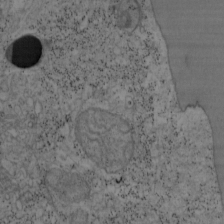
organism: Mouse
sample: OT-I killer T cells with ID8 ovarian cancer cells